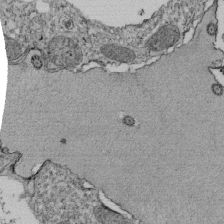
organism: Tetrahymena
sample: Cilia in tetrahymena